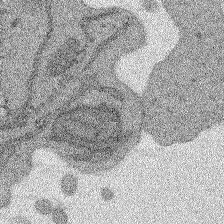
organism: Human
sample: HeLa cells